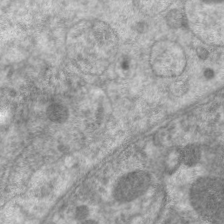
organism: C. elegans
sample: Pharynx